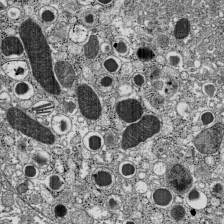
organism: C57BL Mouse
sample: Pancreatic islet